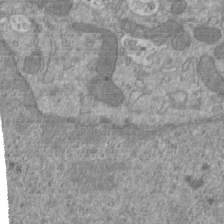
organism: Mouse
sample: ED-1 cell nuclei; centrioles